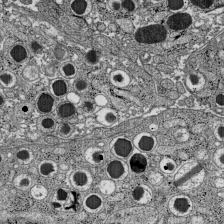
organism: C57BL Mouse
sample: Pancreatic islet